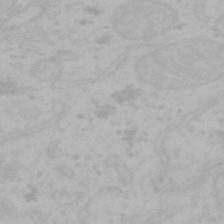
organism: Mouse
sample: Choroid plexus